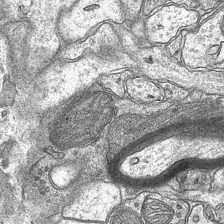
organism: Mouse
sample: CA1 Hippocampus